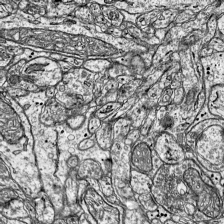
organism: Mouse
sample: Visual Cortex